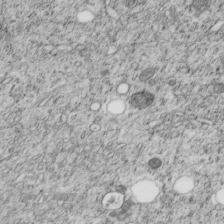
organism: C. elegans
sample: C. elegans embryo early stage